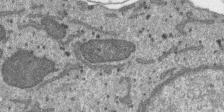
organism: Human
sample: Lung epithelial cells infected with SARS-CoV-2